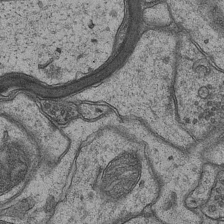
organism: Mouse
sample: CA1 Hippocampus